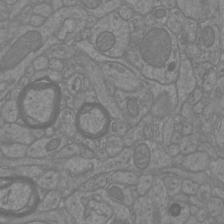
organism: Mouse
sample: Cortical neurons